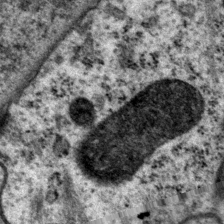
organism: P. pacificus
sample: Pharynx